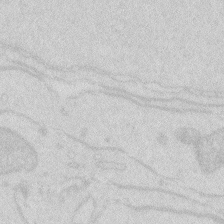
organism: Zebrafish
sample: Macrophage